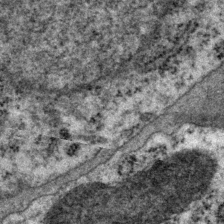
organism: P. pacificus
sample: Pharynx